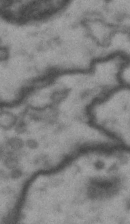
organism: Drosophila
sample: Brain